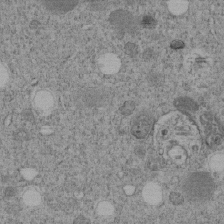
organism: C. elegans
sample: C. elegans embryo early stage